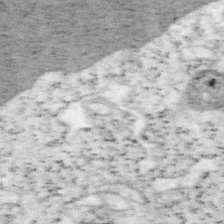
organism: Mouse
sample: OT-I killer T cells with ID8 ovarian cancer cells